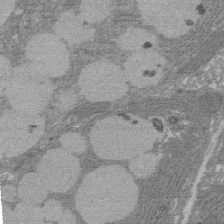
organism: Rat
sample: Salivary granule